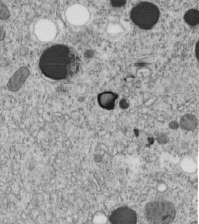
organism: C. elegans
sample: C. elegans embryo early stage